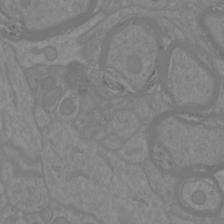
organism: Mouse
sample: Cortical neurons